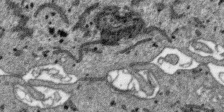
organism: Human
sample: Lung epithelial cells, uninfected (mock) control